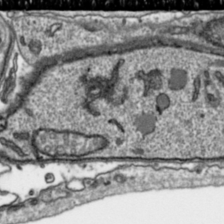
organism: Toxoplasma gondii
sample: Parasites in a vacuole inside a host cell